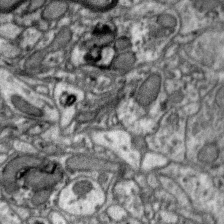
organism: Zebra finch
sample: Brain